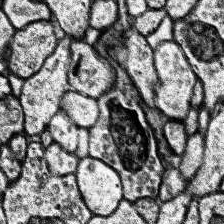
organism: Human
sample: Temporal Lobe